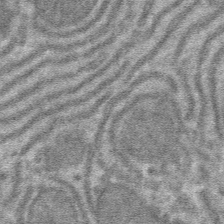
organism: Mouse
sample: Mouse hepatocytes